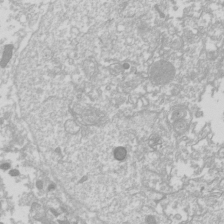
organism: Drosophila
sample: Cell division; meiosis; drosophila spermatocytes